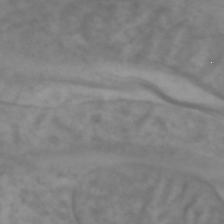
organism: Zebrafish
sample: Zebrafish embryo